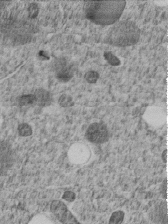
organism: C. elegans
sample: C. elegans embryo early stage